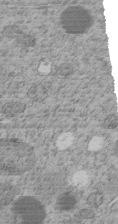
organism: C. elegans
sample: C. elegans embryo early stage